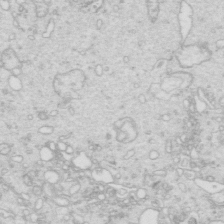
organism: Mouse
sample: Multiciliated cells